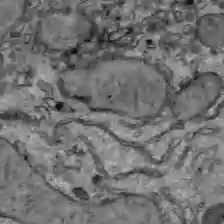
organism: C57BL Mouse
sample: Liver